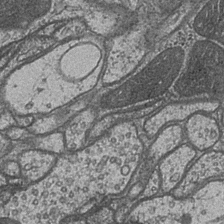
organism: Drosophila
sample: Optic medulla